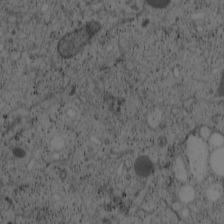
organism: African green monkey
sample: COS-7 cells